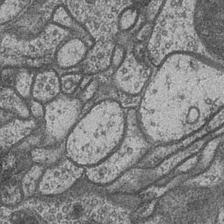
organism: Drosophila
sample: Optic medulla